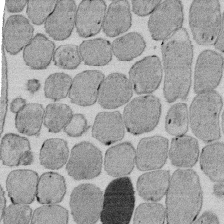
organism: E. coli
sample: Bacterial nucleoid